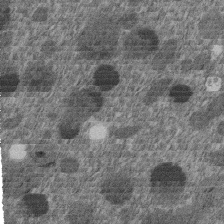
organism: C. elegans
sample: C. elegans embryo early stage